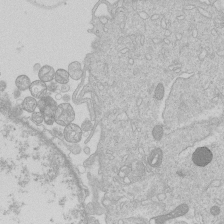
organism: Human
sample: Macrophage cells